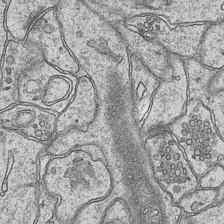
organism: Mouse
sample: CA1 Hippocampus